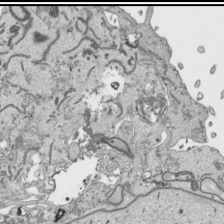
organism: Human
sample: Mitochondria in HCT116 cells